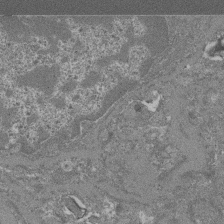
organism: Mouse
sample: Glomerulus